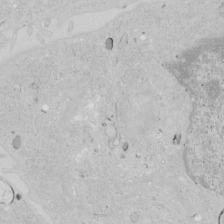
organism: Human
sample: Mitochondria in HCT116 cells